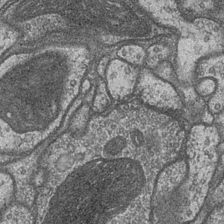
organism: Drosophila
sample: Optic medulla